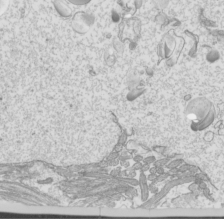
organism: Mouse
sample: Cilia; mouse epididymis